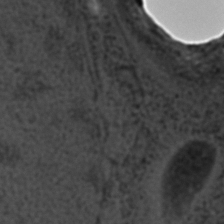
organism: C. elegans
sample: C. elegans embryo